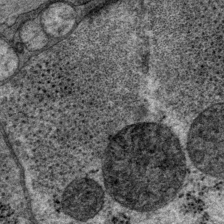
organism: P. pacificus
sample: Pharynx